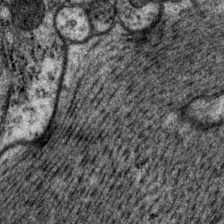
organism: P. pacificus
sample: Pharynx